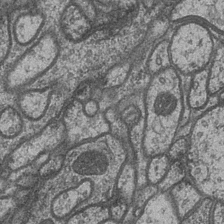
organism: Drosophila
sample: Optic medulla